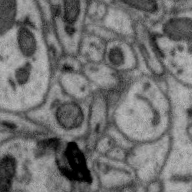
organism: Zebra finch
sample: Brain